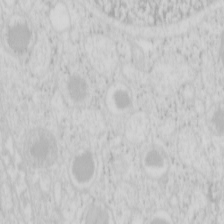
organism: Mouse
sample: Pancreas